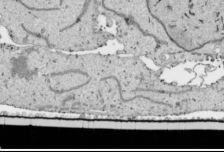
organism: Human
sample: Mitochondria in HCT116 cells